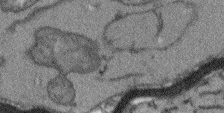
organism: Arabidopsis thaliana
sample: Root tip